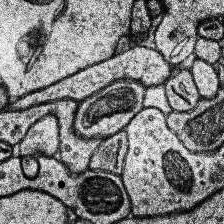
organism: Human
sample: Temporal Lobe